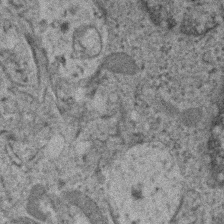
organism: Human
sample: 1205lu cells